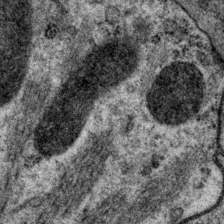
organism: P. pacificus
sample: Pharynx